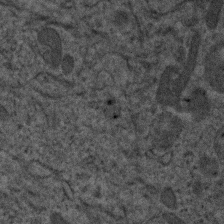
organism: Human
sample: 1205lu cells